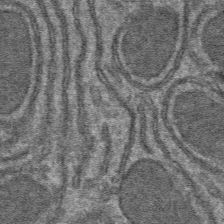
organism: Mouse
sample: Mouse hepatocytes